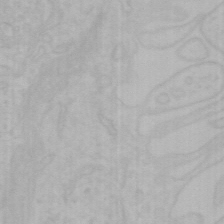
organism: Mouse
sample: Choroid plexus